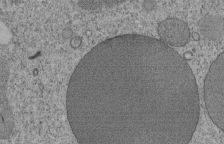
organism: Tetrahymena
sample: Cilia in tetrahymena